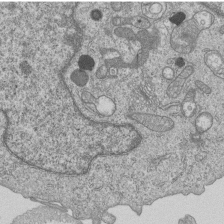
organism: Human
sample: MDA-MB-231 cells